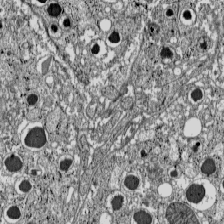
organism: C57BL Mouse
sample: Pancreatic islet